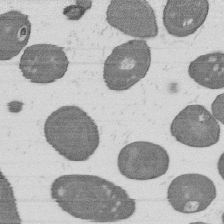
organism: B. subtilis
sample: Bacterial spore